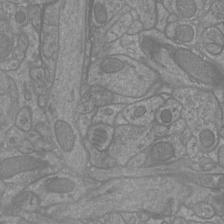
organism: Mouse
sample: Cortical neurons